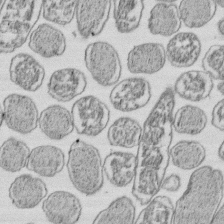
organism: E. coli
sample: Bacterial nucleoid